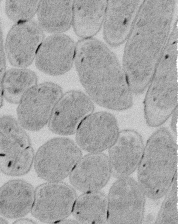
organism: E. coli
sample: Bacterial nucleoid